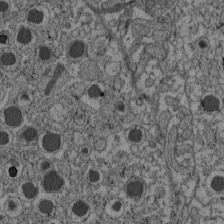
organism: C57BL Mouse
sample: Pancreatic islet